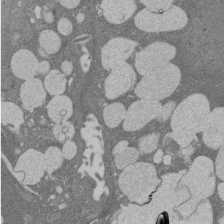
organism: Rat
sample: Salivary granule